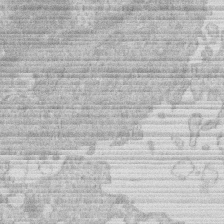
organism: Human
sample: Macrophage cells